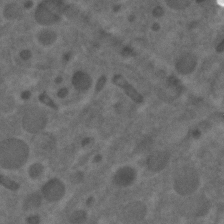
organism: C. elegans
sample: C. elegans embryo